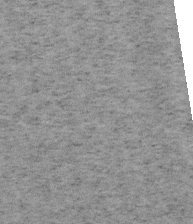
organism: Mouse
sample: OT-I killer T cells with ID8 ovarian cancer cells